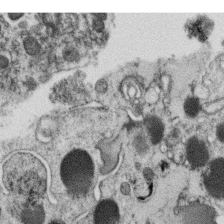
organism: C. elegans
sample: C. elegans oocyte; sperm cells